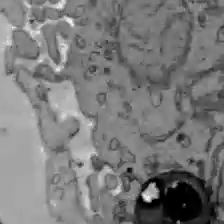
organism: C57BL Mouse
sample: Liver